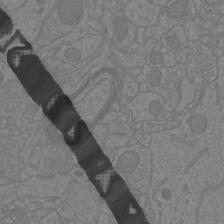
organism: Mouse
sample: Cortical neurons